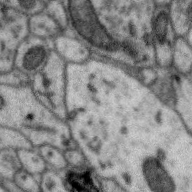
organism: Zebra finch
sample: Brain